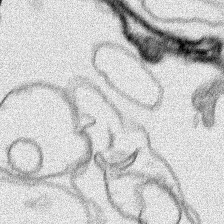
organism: Human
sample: Mitochondria in HCT116 cells